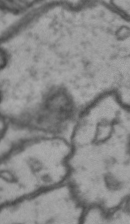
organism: Drosophila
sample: Brain